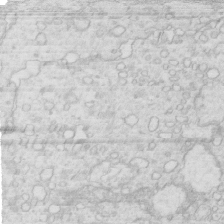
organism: Mouse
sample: Multiciliated cells